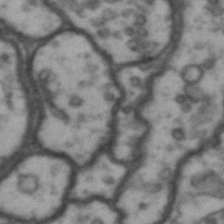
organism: Drosophila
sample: Brain